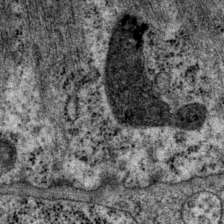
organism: P. pacificus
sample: Pharynx